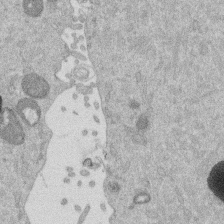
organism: Mouse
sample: Dividing mouse embryo 1 cell stage